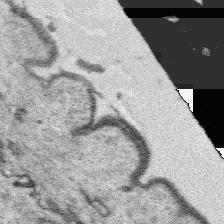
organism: Platynereis dumerilii